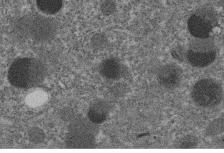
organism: C. elegans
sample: C. elegans embryo early stage